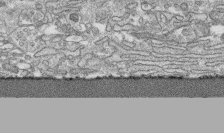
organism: Human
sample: CRL-1474